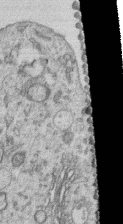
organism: Human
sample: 1205lu cells